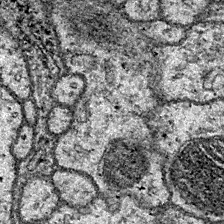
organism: Drosophila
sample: Ventral Nerve Cord